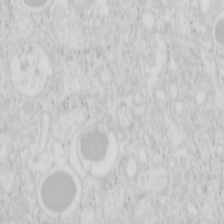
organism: Mouse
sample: Pancreas